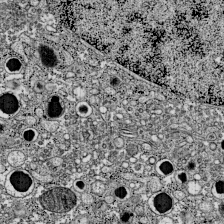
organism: C57BL Mouse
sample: Pancreatic islet